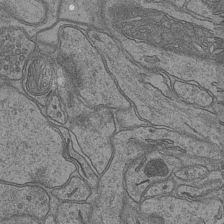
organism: Mouse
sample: CA1 Hippocampus